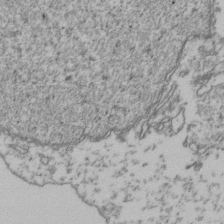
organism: Human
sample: Activated Jurkat CD4+ T cells